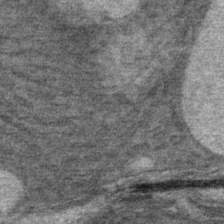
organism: Mouse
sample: Mouse Salivary gland